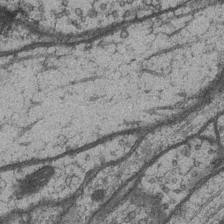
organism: Drosophila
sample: Optic medulla